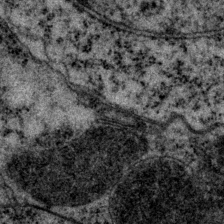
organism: P. pacificus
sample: Pharynx